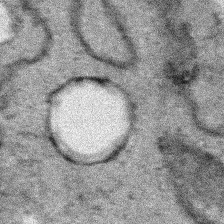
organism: Human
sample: Mitochondria in HCT116 cells